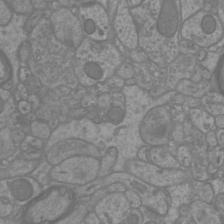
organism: Mouse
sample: Cortical neurons